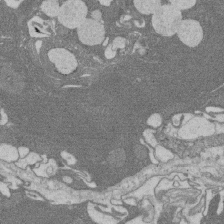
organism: Rat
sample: Salivary granule